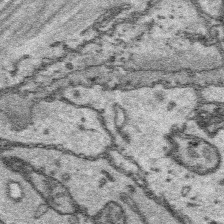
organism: Platynereis dumerilii